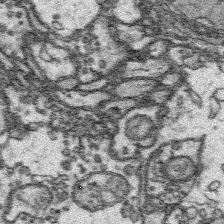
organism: Platynereis dumerilii